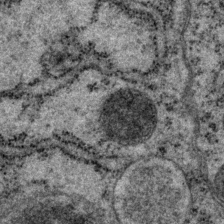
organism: P. pacificus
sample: Pharynx